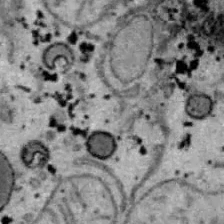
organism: Mouse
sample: Liver from an obese (ob/ob) mouse